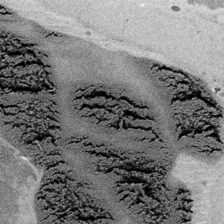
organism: Embia sp.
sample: Silk gland